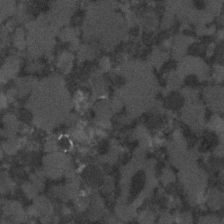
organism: C. elegans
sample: C. elegans embryo